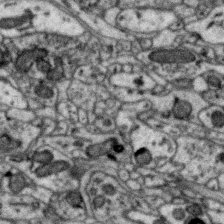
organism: Zebra finch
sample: Brain